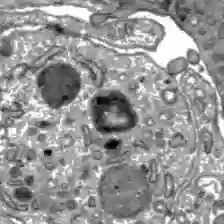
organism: C57BL Mouse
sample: Liver